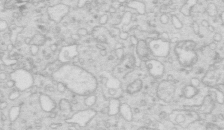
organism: Mouse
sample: Multiciliated cells